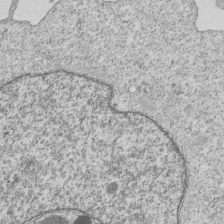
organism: Human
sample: MDA-MB-231 cells